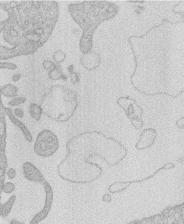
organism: Human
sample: Macrophage cells